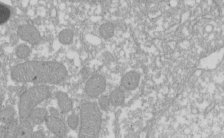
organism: Xenopus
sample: Cilia; centrioles in frog embryo cells